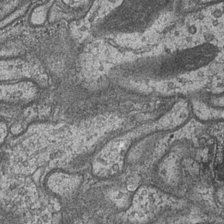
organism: Drosophila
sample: Optic medulla